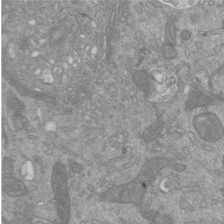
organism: Mouse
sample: ED-1 cell nuclei; centrioles